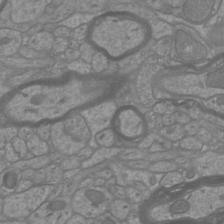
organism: Mouse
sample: Cortical neurons